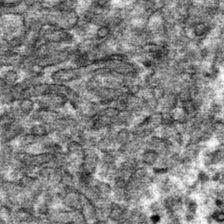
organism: Mouse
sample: Mouse hepatocytes